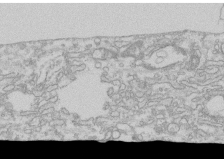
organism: Human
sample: CRL-1474